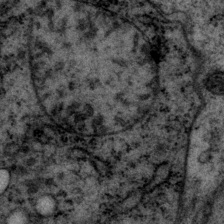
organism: P. pacificus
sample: Pharynx